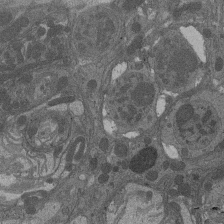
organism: Drosophila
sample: Antenna